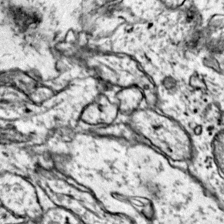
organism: Mouse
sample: Primary visual cortex